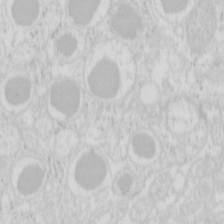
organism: Mouse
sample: Pancreas